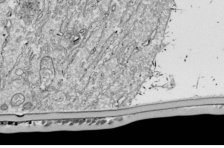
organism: Drosophila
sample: Cell division; meiosis; drosophila spermatocytes